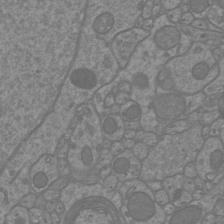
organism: Mouse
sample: Cortical neurons